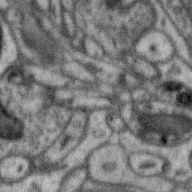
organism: Zebra finch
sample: Brain